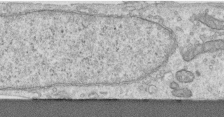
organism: Human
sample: Centriole in RPE cells